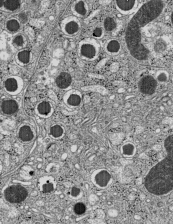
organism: C57BL Mouse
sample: Pancreatic islet